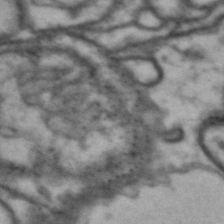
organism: Drosophila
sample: Brain